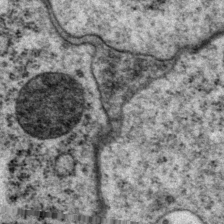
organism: P. pacificus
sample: Pharynx